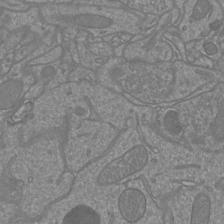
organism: Mouse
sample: Cortical neurons